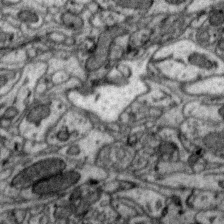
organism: Zebra finch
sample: Brain